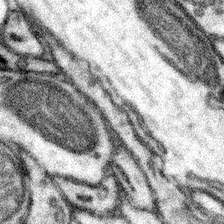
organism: Mouse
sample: Somatosensory cortex neuropil